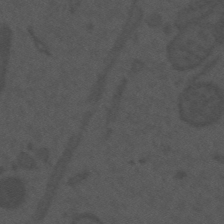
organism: Mouse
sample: Suprachiasmatic nucleus